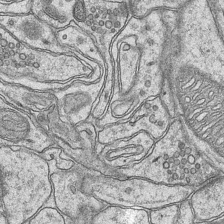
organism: Mouse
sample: CA1 Hippocampus